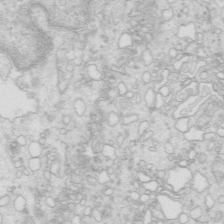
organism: Mouse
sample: Multiciliated cells